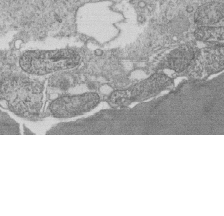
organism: Tetrahymena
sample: Cilia in tetrahymena